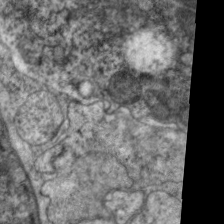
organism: C. elegans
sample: Pharynx